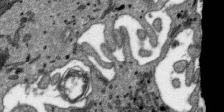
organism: Human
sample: Lung epithelial cells, uninfected (mock) control